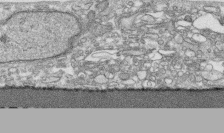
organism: Human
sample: CRL-1474